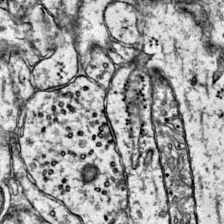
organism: Mouse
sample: Primary visual cortex